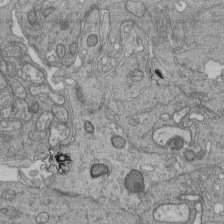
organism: Human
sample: Retinal organoid Rod and Cone cells